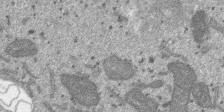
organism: Human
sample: Lung epithelial cells infected with SARS-CoV-2